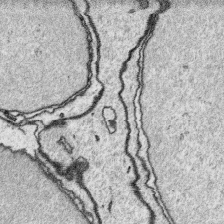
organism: Platynereis dumerilii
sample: Parapodia